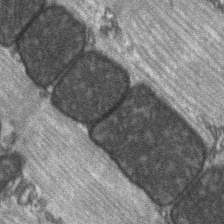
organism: C57BL Mouse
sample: Soleus